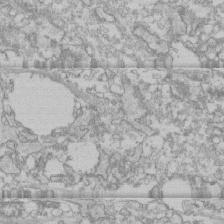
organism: Human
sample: CRL-1474